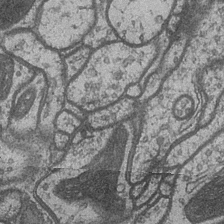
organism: Drosophila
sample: Optic medulla